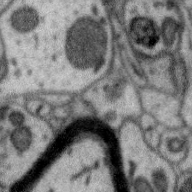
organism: Zebra finch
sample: Brain